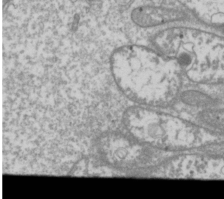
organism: Drosophila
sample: Cell division; meiosis; drosophila spermatocytes